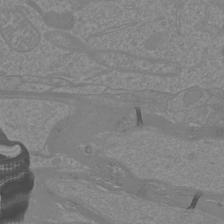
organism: Mouse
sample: Cortical neurons